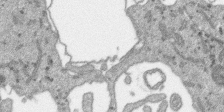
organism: Human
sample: Lung epithelial cells infected with SARS-CoV-2